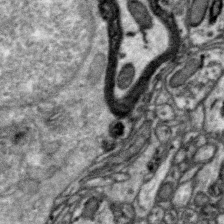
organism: Zebra finch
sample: Brain